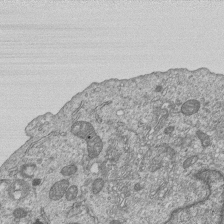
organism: Human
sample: MDA-MB-231 cells